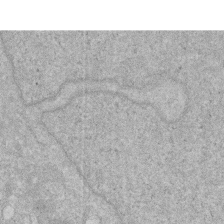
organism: Human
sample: HIV infected U937 cells